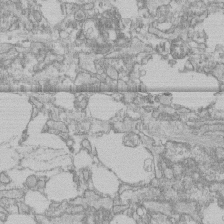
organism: Human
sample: CRL-1474